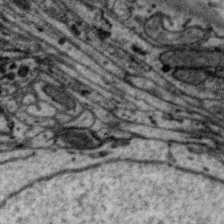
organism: Zebra finch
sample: Brain